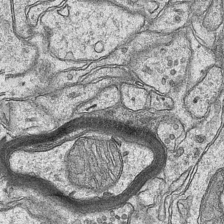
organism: Mouse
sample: CA1 Hippocampus